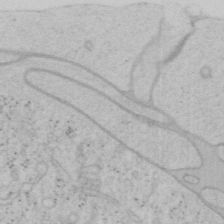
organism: Human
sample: HeLa cells